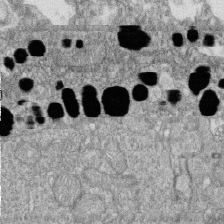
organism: Zebrafish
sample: Cilia; retinal pigment epithelium